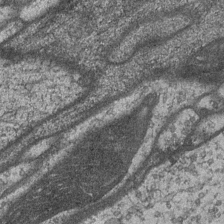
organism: Drosophila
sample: Optic medulla